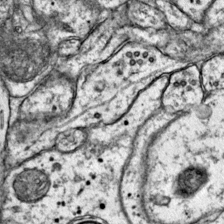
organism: Mouse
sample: Primary visual cortex